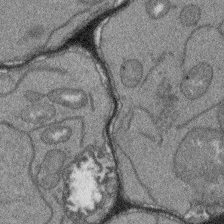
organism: Arabidopsis thaliana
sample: Root tip